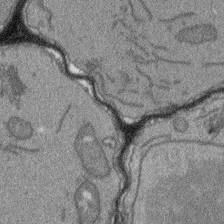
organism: Arabidopsis thaliana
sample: Root tip